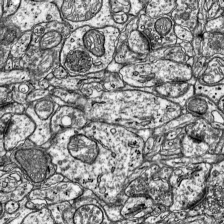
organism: Mouse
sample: Visual Cortex